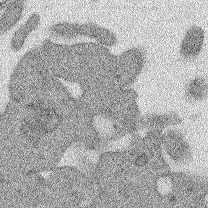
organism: Human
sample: HeLa cells